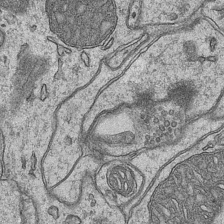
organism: Mouse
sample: CA1 Hippocampus